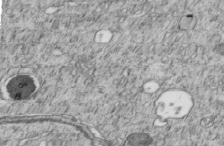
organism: C. elegans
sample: C. elegans embryo early stage